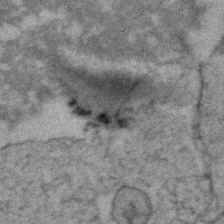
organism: Zebrafish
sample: Zebrafish embryo